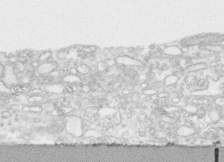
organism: Human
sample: CRL-1474